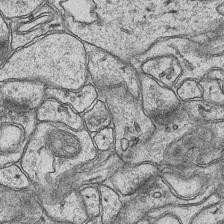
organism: Mouse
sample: CA1 Hippocampus